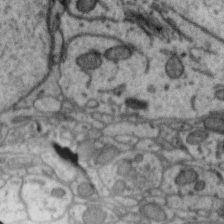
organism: Zebra finch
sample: Brain